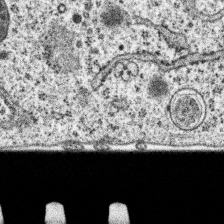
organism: Human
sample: HeLa cells